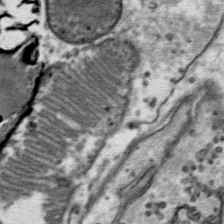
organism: Mouse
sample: Mouse Salivary gland